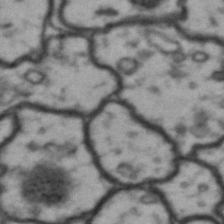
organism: Drosophila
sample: Brain